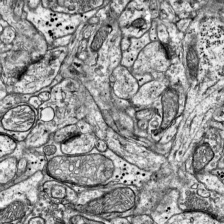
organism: Mouse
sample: Visual Cortex